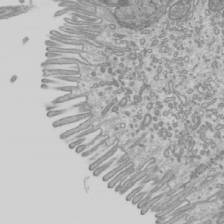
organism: Mouse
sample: Cilia; mouse epididymis